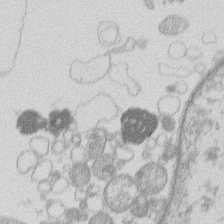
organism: Human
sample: Macrophage cells